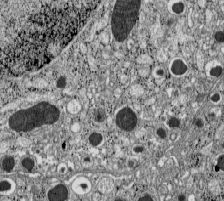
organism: C57BL Mouse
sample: Pancreatic islet